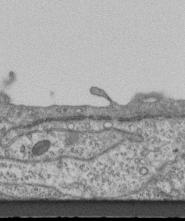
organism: Mouse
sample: Centriole in ependymal cells